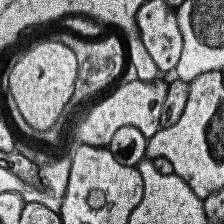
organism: Human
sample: Temporal Lobe